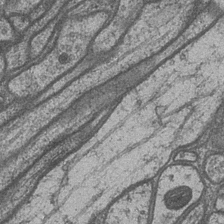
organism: Drosophila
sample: Optic medulla